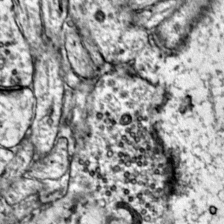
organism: Mouse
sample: Primary visual cortex